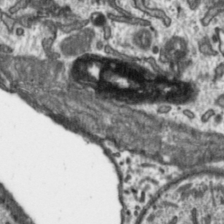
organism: Toxoplasma gondii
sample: Parasites in a vacuole inside a host cell